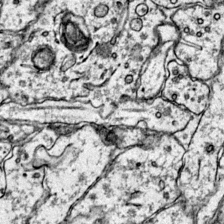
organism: Mouse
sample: Primary visual cortex